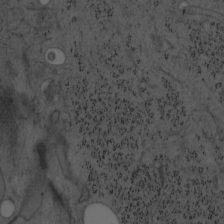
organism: Mouse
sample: OT-I killer T cells with ID8 ovarian cancer cells